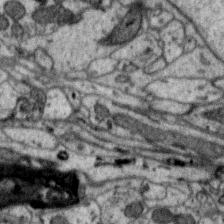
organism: Zebra finch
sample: Brain